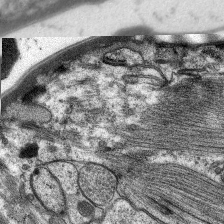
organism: C. elegans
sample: Pharynx